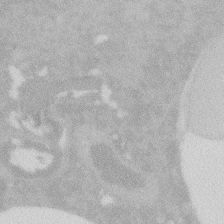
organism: Zebrafish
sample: Macrophage